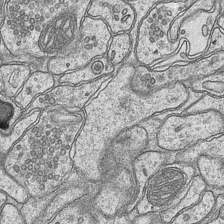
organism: Mouse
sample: CA1 Hippocampus